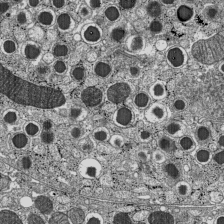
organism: C57BL Mouse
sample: Pancreatic islet